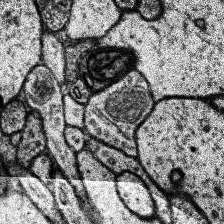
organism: Human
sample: Temporal Lobe